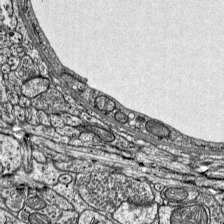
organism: Mouse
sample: Visual Cortex